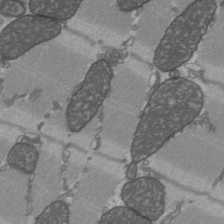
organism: C57BL Mouse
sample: Heart